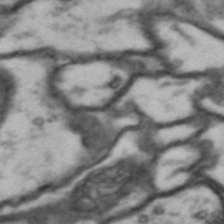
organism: Drosophila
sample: Brain